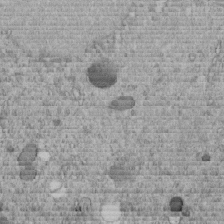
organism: C. elegans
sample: C. elegans embryo early stage